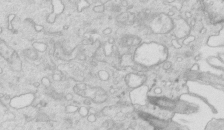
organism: Mouse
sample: Multiciliated cells